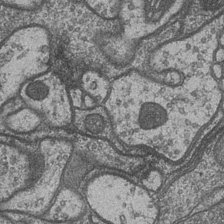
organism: Drosophila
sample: Optic medulla